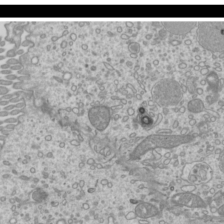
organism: Mouse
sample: Cilia; mouse epididymis